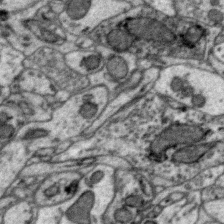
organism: Zebra finch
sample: Brain